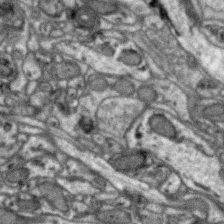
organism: Zebra finch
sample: Brain